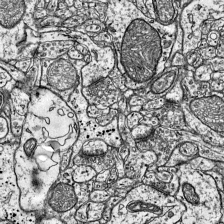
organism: Mouse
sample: Visual Cortex